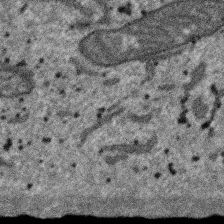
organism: Human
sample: Lung epithelial cells infected with SARS-CoV-2